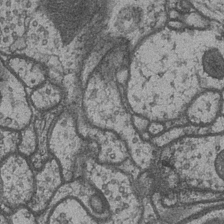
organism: Drosophila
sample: Optic medulla